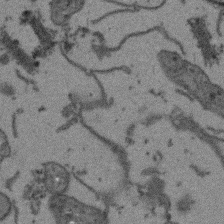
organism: Arabidopsis thaliana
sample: Root tip